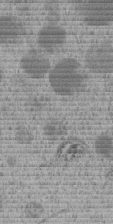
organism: C. elegans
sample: C. elegans embryo early stage